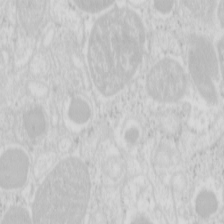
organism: Mouse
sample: Pancreas